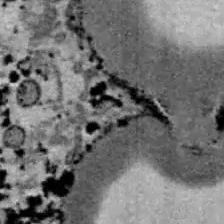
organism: Mouse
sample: Liver from an obese (ob/ob) mouse